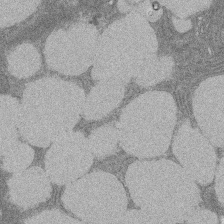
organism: Rat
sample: Salivary granule